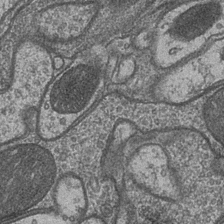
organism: Drosophila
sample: Optic medulla